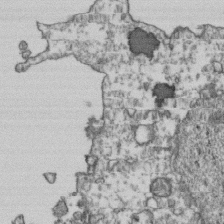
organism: Human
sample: Activated Jurkat CD4+ T cells